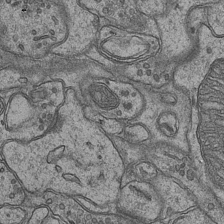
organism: Mouse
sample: CA1 Hippocampus